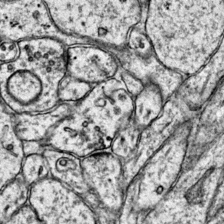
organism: Mouse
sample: Primary visual cortex